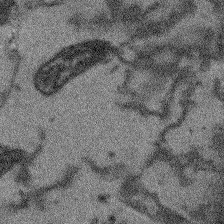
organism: Arabidopsis thaliana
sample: Root tip